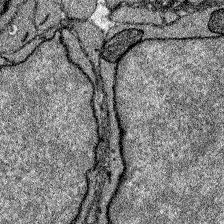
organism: Zebrafish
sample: Larval olfactory bulb